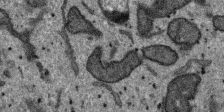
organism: Human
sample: Lung epithelial cells, uninfected (mock) control